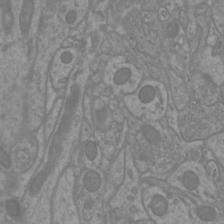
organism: Mouse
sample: Cortical neurons